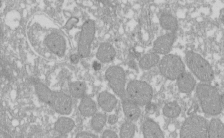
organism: Xenopus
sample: Cilia; centrioles in frog embryo cells